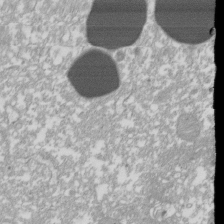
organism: Xenopus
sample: Cilia; centrioles in frog embryo cells